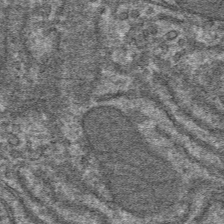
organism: Mouse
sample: Mouse hepatocytes